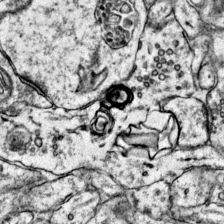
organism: Mouse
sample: Primary visual cortex